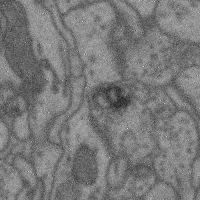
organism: Mouse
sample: Cerebral cortex